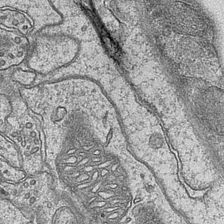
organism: Mouse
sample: CA1 Hippocampus